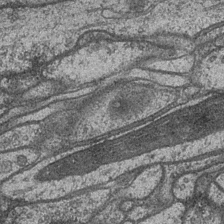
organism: Drosophila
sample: Optic medulla